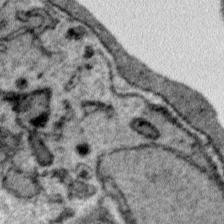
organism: Plasmodium falciparum